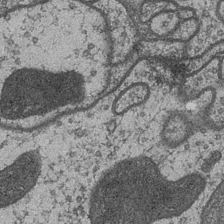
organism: Drosophila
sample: Optic medulla